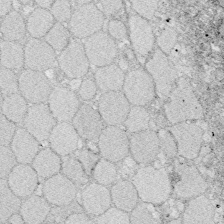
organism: Zebrafish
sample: Whole-Brain